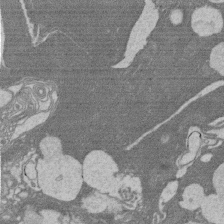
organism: Rat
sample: Salivary granule